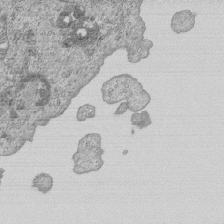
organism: Human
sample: MDA-MB-231 cells